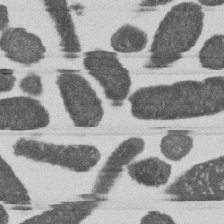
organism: E. coli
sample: Bacterial nucleoid